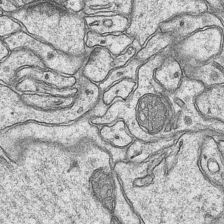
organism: Mouse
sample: CA1 Hippocampus